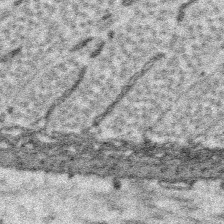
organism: Platynereis dumerilii